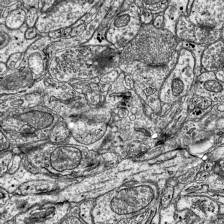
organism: Mouse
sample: Visual Cortex